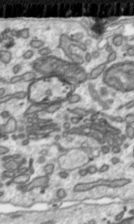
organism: Toxoplasma gondii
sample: Parasites in a vacuole inside a host cell